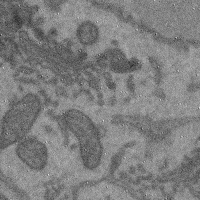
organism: Mouse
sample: Cerebral cortex